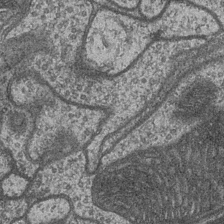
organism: Drosophila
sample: Optic medulla